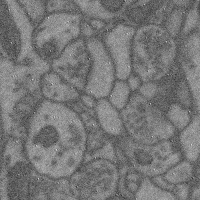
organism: Mouse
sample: Cerebral cortex